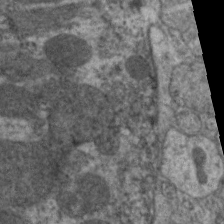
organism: C. elegans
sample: Pharynx